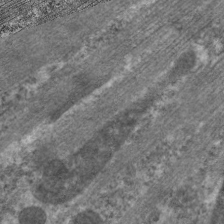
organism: C. elegans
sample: Pharynx